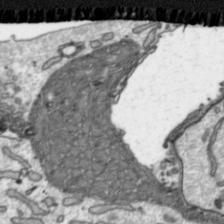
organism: Toxoplasma gondii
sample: Parasites in a vacuole inside a host cell